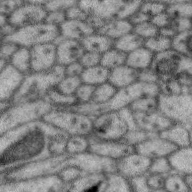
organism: Zebra finch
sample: Brain